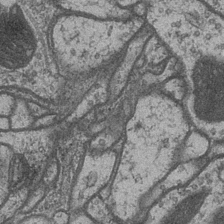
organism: Drosophila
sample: Optic medulla